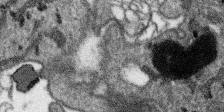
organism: Human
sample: Lung epithelial cells infected with SARS-CoV-2